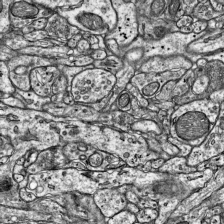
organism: Mouse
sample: Visual Cortex